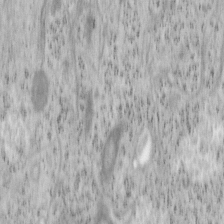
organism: Human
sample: HeLa cells